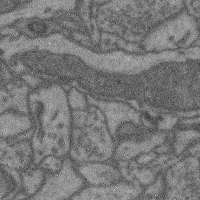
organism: Mouse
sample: Cerebral cortex